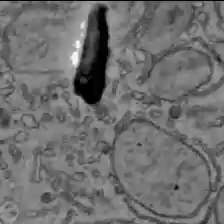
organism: C57BL Mouse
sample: Liver